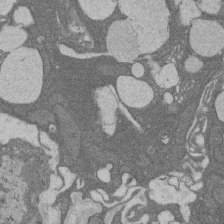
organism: Rat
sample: Salivary granule